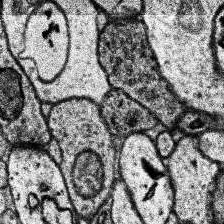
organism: Human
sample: Temporal Lobe